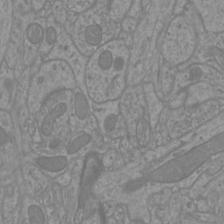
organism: Mouse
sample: Cortical neurons